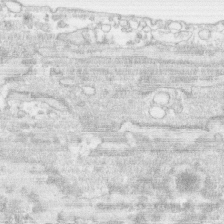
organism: Human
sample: CRL-1474